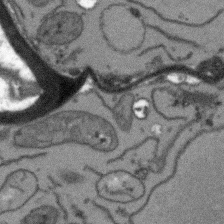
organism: Arabidopsis thaliana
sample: Root tip